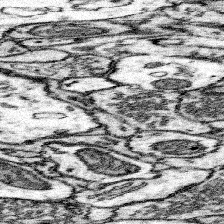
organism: Mouse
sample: Somatosensory cortex neuropil